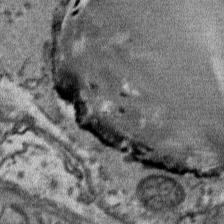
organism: Mouse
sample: Mouse Salivary gland